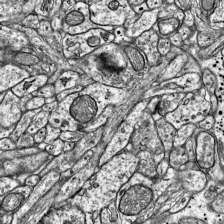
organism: Mouse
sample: Visual Cortex